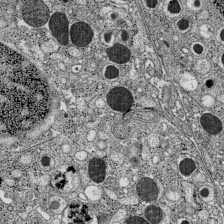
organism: C57BL Mouse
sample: Pancreatic islet